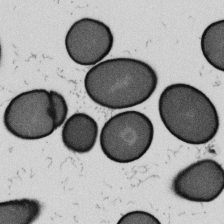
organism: B. subtilis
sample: Bacterial spore